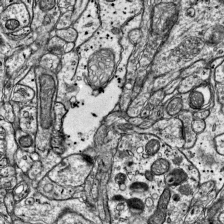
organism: Mouse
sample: Visual Cortex